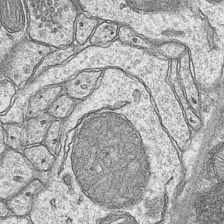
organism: Mouse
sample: CA1 Hippocampus